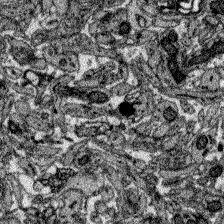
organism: Zebrafish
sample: Larval olfactory bulb